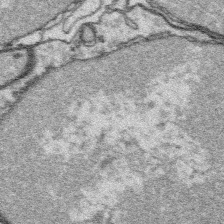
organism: Platynereis dumerilii